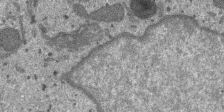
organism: Human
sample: Lung epithelial cells infected with SARS-CoV-2